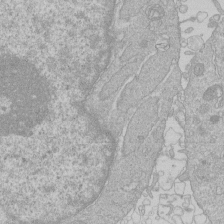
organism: Human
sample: Macrophage cells